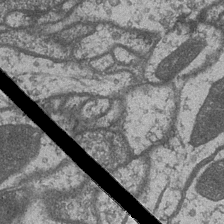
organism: Drosophila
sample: Optic medulla